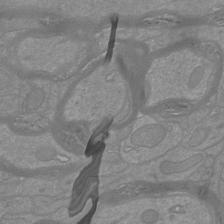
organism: Mouse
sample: Cortical neurons